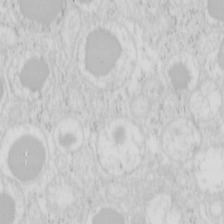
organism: Mouse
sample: Pancreas